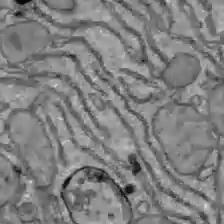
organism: C57BL Mouse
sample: Liver